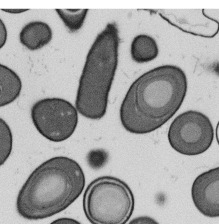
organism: B. subtilis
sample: Bacterial spore